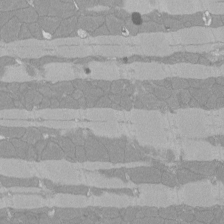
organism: Rat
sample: Left ventricle